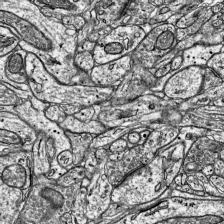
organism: Mouse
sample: Visual Cortex